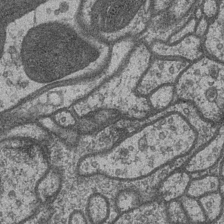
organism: Drosophila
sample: Optic medulla